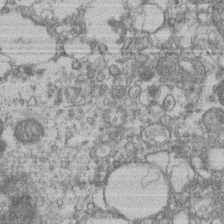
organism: Mouse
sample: T cell stromal cell synapse